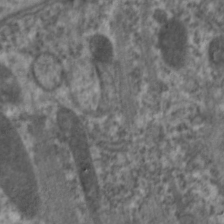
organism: C. elegans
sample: Pharynx